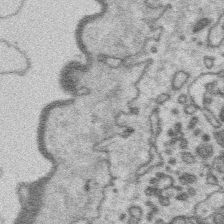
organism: Platynereis dumerilii